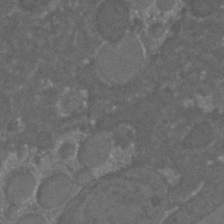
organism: C. elegans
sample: C. elegans embryo